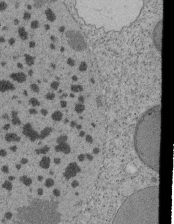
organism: Tetrahymena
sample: Cilia in tetrahymena